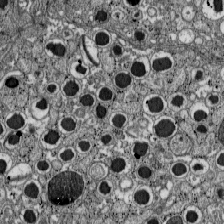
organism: C57BL Mouse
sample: Pancreatic islet